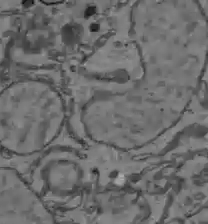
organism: C57BL Mouse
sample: Liver